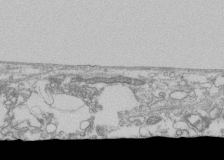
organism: Human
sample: Fibroblast cells